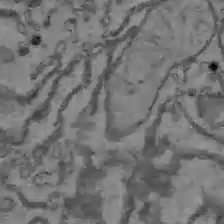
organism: C57BL Mouse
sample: Liver